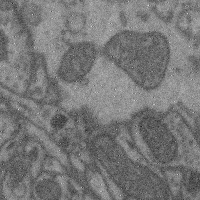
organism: Mouse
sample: Cerebral cortex